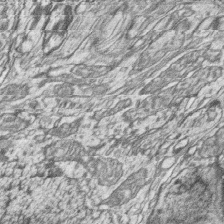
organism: Zebrafish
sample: synaptic ribbons in rod cells and cone cells